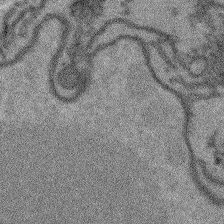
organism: Arabidopsis thaliana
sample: Root tip